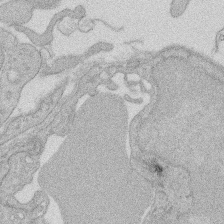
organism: Rat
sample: Salivary granule